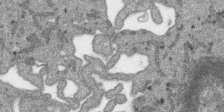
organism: Human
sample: Lung epithelial cells infected with SARS-CoV-2